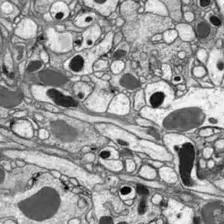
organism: Drosophila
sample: Optic lobe